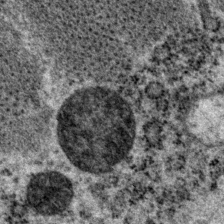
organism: P. pacificus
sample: Pharynx